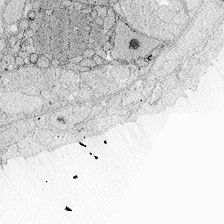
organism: Zebrafish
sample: Whole-Brain